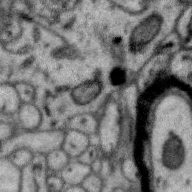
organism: Zebra finch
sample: Brain